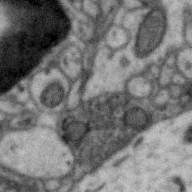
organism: Zebra finch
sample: Brain